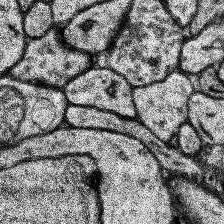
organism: Human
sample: Temporal Lobe